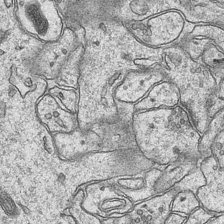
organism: Mouse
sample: CA1 Hippocampus